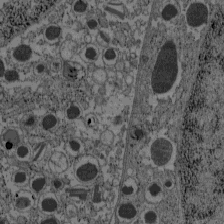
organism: C57BL Mouse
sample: Pancreatic islet